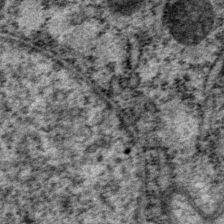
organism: P. pacificus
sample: Pharynx